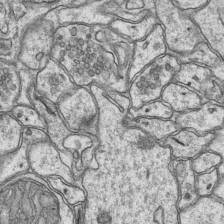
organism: Mouse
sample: CA1 Hippocampus